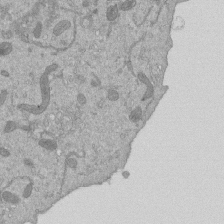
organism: Mouse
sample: ED-1 cell nuclei; centrioles